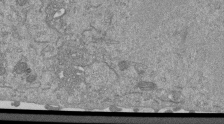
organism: Mouse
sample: ED-1 cell nuclei; centrioles